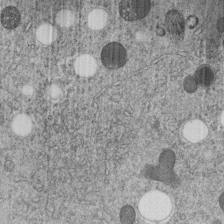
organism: C. elegans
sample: C. elegans embryo early stage